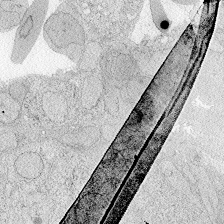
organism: Zebrafish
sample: Whole-Brain